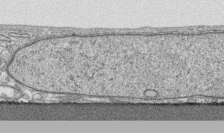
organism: Human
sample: CRL-1474